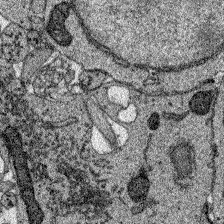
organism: Zebrafish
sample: Larval olfactory bulb